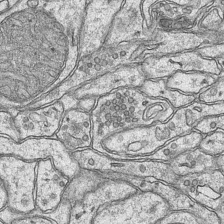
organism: Mouse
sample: CA1 Hippocampus